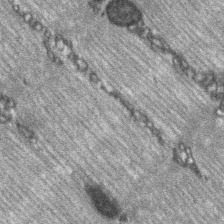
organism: C57BL Mouse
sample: Soleus